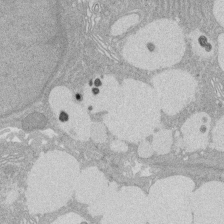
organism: Rat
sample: Salivary granule